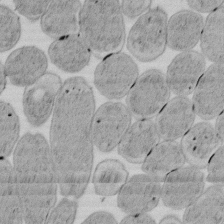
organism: E. coli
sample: Bacterial nucleoid